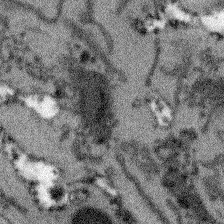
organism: Arabidopsis thaliana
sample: Root tip